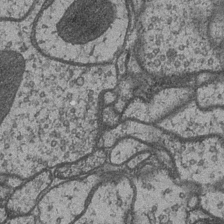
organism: Drosophila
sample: Optic medulla